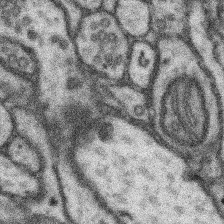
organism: Mouse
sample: Somatosensory cortex neuropil